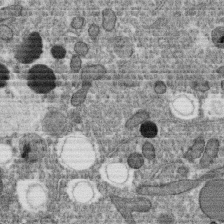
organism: C. elegans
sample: C. elegans oocyte; sperm cells